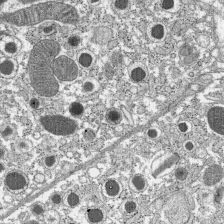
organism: C57BL Mouse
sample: Pancreatic islet